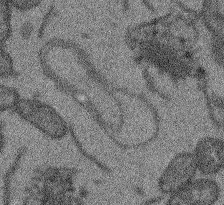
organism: Arabidopsis thaliana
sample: Root tip